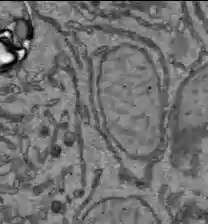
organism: C57BL Mouse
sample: Liver